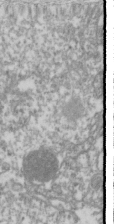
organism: Drosophila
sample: Cell division; meiosis; drosophila spermatocytes